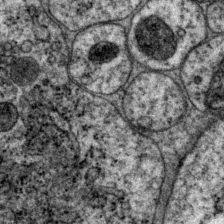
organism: P. pacificus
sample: Pharynx